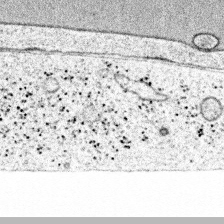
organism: Human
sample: HeLa cells